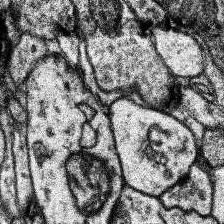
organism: Human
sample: Temporal Lobe